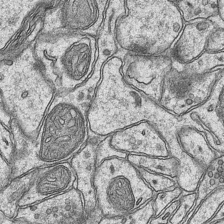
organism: Mouse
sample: CA1 Hippocampus